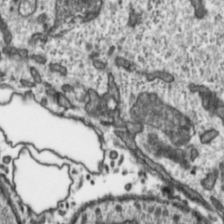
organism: Toxoplasma gondii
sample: Parasites in a vacuole inside a host cell